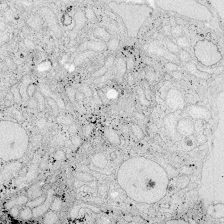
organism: Zebrafish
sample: Whole-Brain